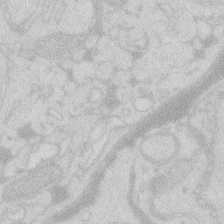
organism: Zebrafish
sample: Macrophage